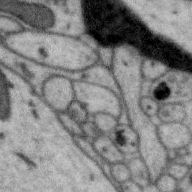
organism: Zebra finch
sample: Brain